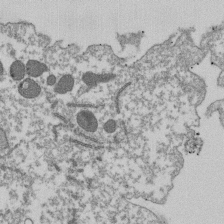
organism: Dictyostelium discoideum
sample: Dictyostelium multivesicular bodies